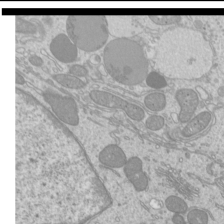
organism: Mouse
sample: Cilia; mouse epididymis